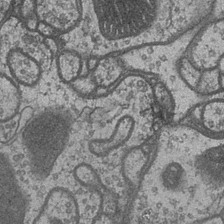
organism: Drosophila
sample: Optic medulla